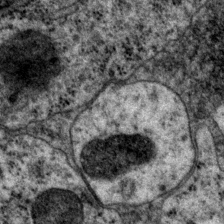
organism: P. pacificus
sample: Pharynx